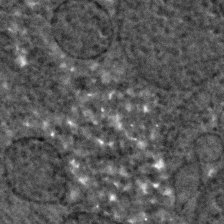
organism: C. elegans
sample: C. elegans embryo